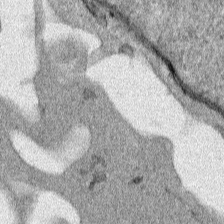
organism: Human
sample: Mitochondria in HCT116 cells